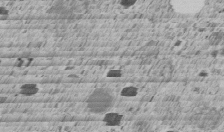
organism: C. elegans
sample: C. elegans embryo early stage